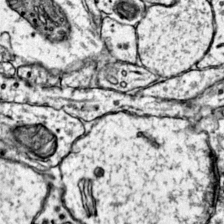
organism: Mouse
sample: Primary visual cortex